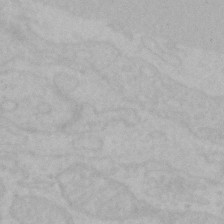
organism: Mouse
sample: Choroid plexus